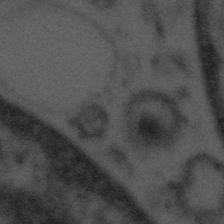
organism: Tuwongella immobilis